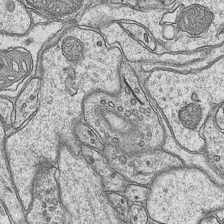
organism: Mouse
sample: CA1 Hippocampus